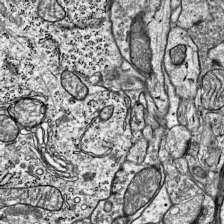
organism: Mouse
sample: Visual Cortex